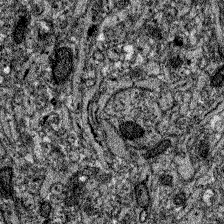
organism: Zebrafish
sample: Larval olfactory bulb